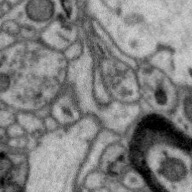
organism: Zebra finch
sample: Brain